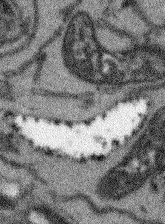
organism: Arabidopsis thaliana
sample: Root tip